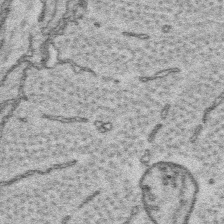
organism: Platynereis dumerilii